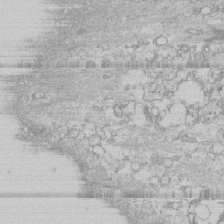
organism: Human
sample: CRL-1474